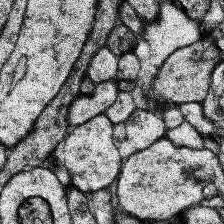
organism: Human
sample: Temporal Lobe